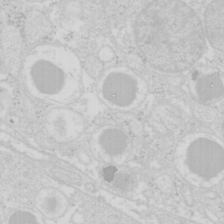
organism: Mouse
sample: Pancreas